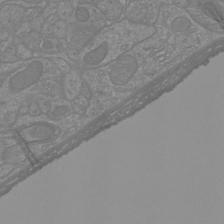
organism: Mouse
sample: Cortical neurons